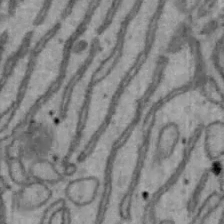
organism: Mouse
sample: Liver